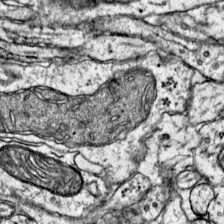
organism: Mouse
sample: Primary visual cortex